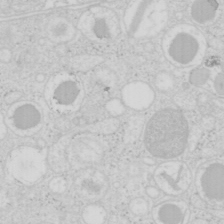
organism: Mouse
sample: Pancreas